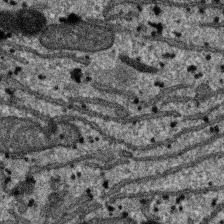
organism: Human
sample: Lung epithelial cells infected with SARS-CoV-2